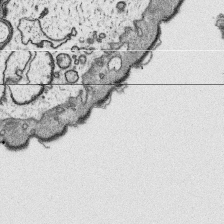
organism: Platynereis dumerilii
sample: Parapodia